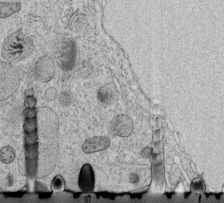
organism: C. elegans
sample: C. elegans embryo early stage